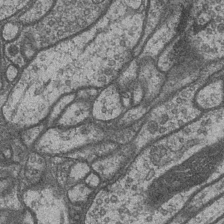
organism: Drosophila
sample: Optic medulla